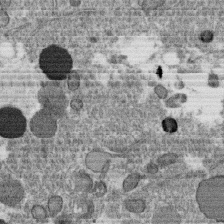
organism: C. elegans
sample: C. elegans oocyte; sperm cells